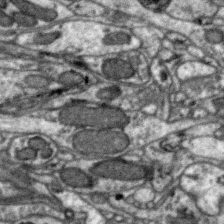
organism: Zebra finch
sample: Brain